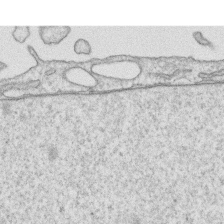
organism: Human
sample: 1205lu cells